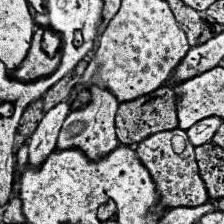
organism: Human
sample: Temporal Lobe